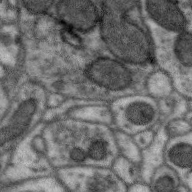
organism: Zebra finch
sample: Brain